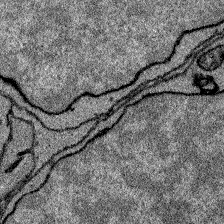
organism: Zebrafish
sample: Larval olfactory bulb